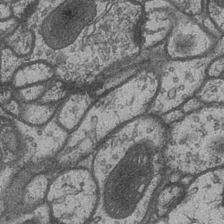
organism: Drosophila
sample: Optic medulla